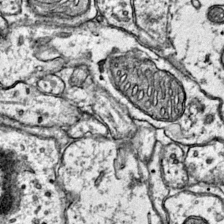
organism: Mouse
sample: Primary visual cortex